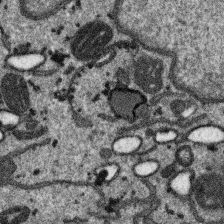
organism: Human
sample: Lung epithelial cells infected with SARS-CoV-2